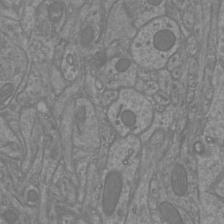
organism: Mouse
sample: Cortical neurons